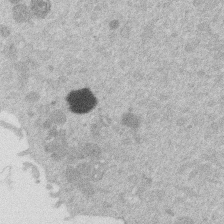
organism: Mouse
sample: Dividing mouse embryo 1 cell stage